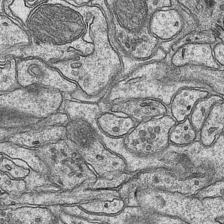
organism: Mouse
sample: CA1 Hippocampus